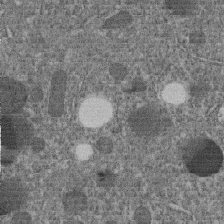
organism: C. elegans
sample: C. elegans embryo early stage